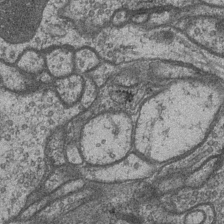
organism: Drosophila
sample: Optic medulla